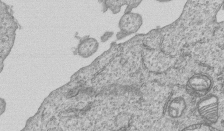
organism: Human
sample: MDA-MB-231 cells